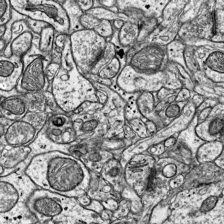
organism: Mouse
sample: Visual Cortex